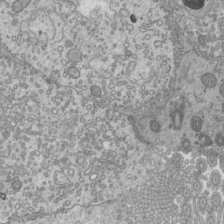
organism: Mouse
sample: Cilia; mouse epididymis